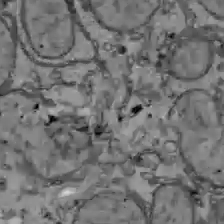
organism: C57BL Mouse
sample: Liver